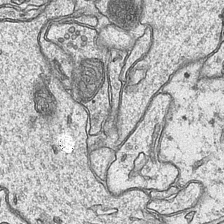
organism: Mouse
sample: CA1 Hippocampus